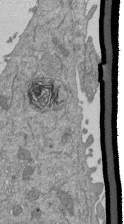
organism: Mouse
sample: ED-1 cell nuclei; centrioles